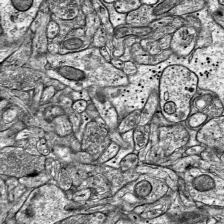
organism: Mouse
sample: Visual Cortex